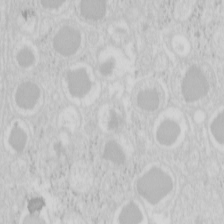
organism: Mouse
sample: Pancreas